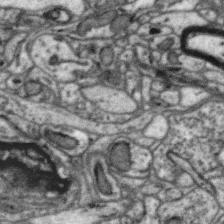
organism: Zebra finch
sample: Brain